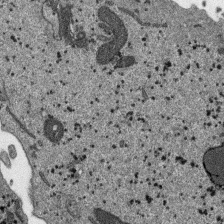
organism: Human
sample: Lung epithelial cells infected with SARS-CoV-2